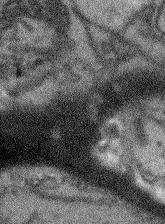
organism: Arabidopsis thaliana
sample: Root tip